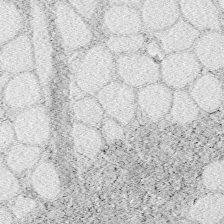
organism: Zebrafish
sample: Whole-Brain